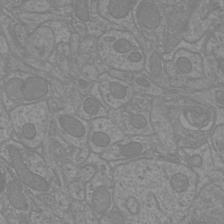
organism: Mouse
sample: Cortical neurons